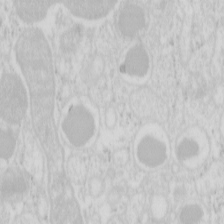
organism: Mouse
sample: Pancreas